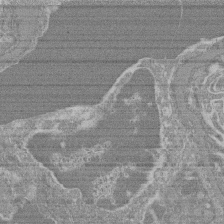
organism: Mouse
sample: Glomerulus